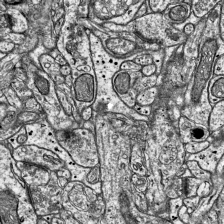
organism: Mouse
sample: Visual Cortex